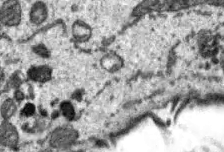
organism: Human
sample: HeLa cells